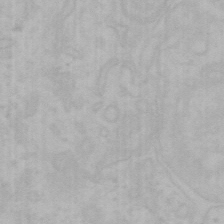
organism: Mouse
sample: Choroid plexus